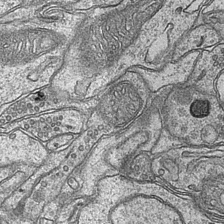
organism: Mouse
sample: CA1 Hippocampus